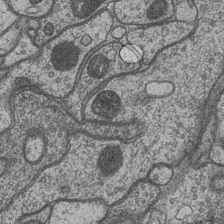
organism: Drosophila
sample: Optic medulla